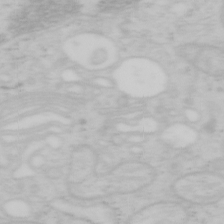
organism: Mouse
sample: OT-I killer T cells with ID8 ovarian cancer cells